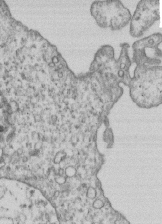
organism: Human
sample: MDA-MB-231 cells